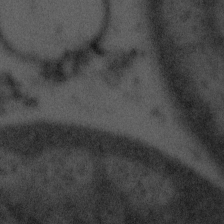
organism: Tuwongella immobilis